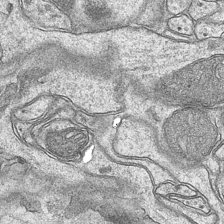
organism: Mouse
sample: CA1 Hippocampus